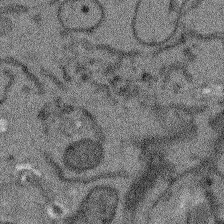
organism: Arabidopsis thaliana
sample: Root tip